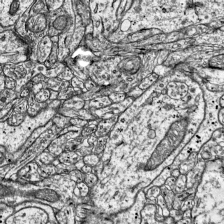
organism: Mouse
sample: Visual Cortex